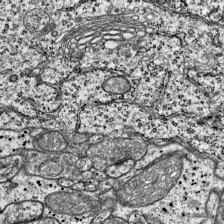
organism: Mouse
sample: Visual Cortex